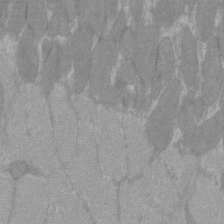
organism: C57BL Mouse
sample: Tibialis anterior muscle cell